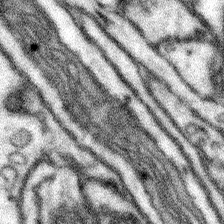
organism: Mouse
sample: Somatosensory cortex neuropil